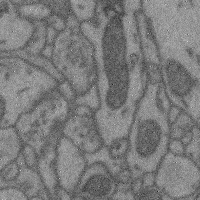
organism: Mouse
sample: Cerebral cortex